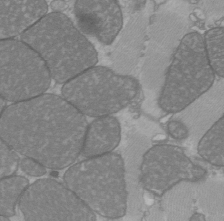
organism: C57BL Mouse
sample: Heart